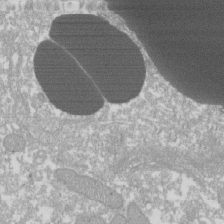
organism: Xenopus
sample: Cilia; centrioles in frog embryo cells